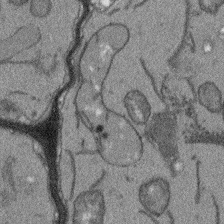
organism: Arabidopsis thaliana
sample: Root tip